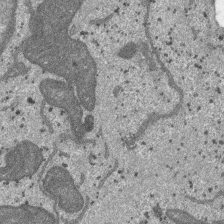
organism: Human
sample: Lung epithelial cells infected with SARS-CoV-2